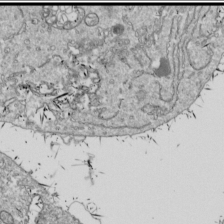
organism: Drosophila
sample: Cell division; meiosis; drosophila spermatocytes